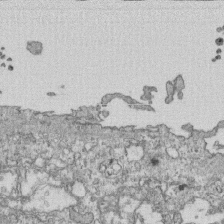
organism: Human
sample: HeLa cell HIV synapse